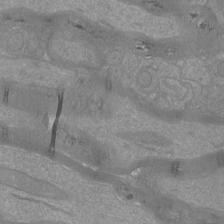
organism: Mouse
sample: Cortical neurons